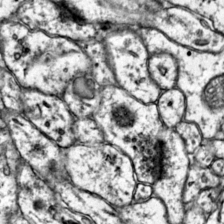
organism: Mouse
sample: Primary visual cortex